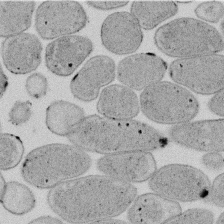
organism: E. coli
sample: Bacterial nucleoid